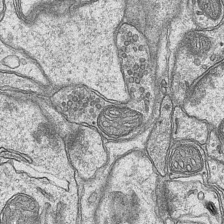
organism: Mouse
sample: CA1 Hippocampus